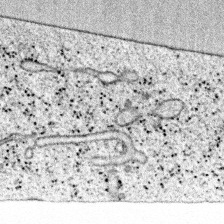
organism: Human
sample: HeLa cells